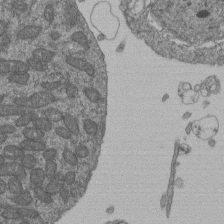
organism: Human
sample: Retinal organoid Rod and Cone cells